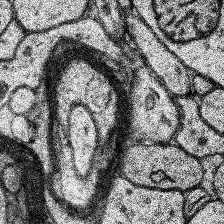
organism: Human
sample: Temporal Lobe